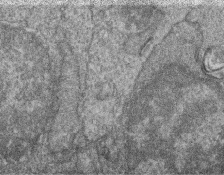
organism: Zebrafish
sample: Cilia; retinal pigment epithelium